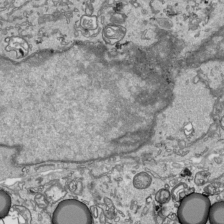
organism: Human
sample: Mitochondria in HCT116 cells